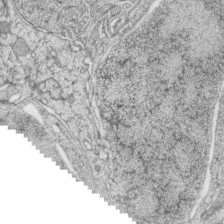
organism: Zebrafish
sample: synaptic ribbons in rod cells and cone cells